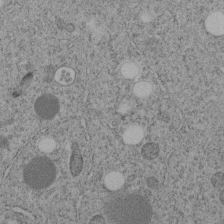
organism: C. elegans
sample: C. elegans embryo early stage